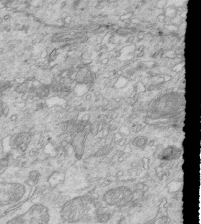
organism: Mouse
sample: Multiciliated cells